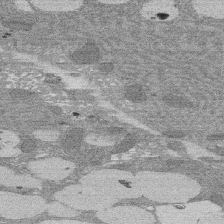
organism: Rat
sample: Salivary granule